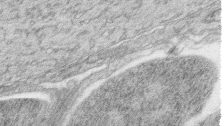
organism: Zebrafish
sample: synaptic ribbons in rod cells and cone cells